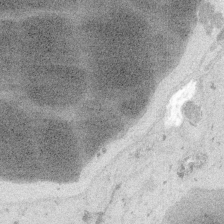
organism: Embia sp.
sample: Silk gland